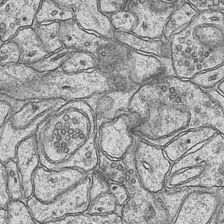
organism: Mouse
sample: CA1 Hippocampus